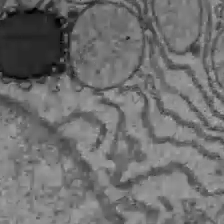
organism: C57BL Mouse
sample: Liver